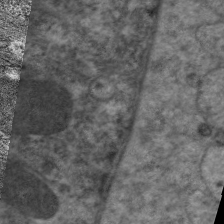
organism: C. elegans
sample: Pharynx